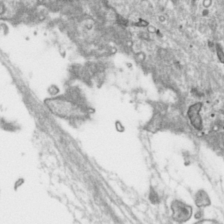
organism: Toxoplasma gondii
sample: Parasites in a vacuole inside a host cell